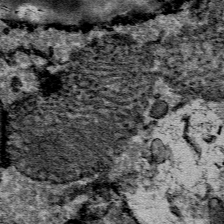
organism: Mouse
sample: Mouse Salivary gland